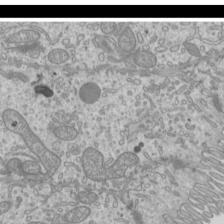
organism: Mouse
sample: Cilia; mouse epididymis